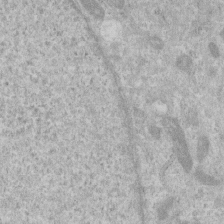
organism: Human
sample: Centriole in RPE cells